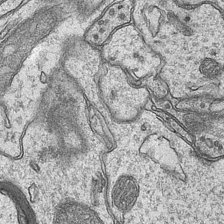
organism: Mouse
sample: CA1 Hippocampus